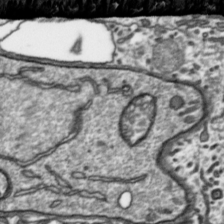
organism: Toxoplasma gondii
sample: Parasites in a vacuole inside a host cell